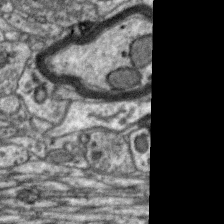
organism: Zebra finch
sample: Brain